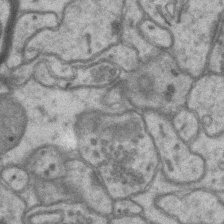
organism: Mouse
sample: CA1 Hippocampus